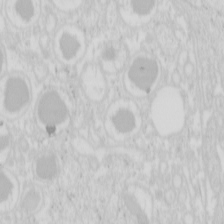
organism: Mouse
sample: Pancreas